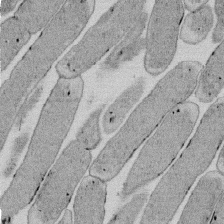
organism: E. coli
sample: Bacterial nucleoid